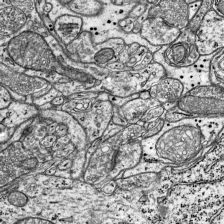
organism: Mouse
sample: Visual Cortex